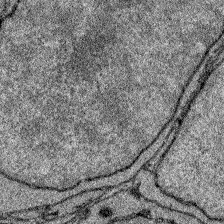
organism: Zebrafish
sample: Larval olfactory bulb